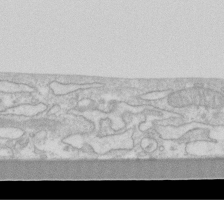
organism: Human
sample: Fibroblast cells